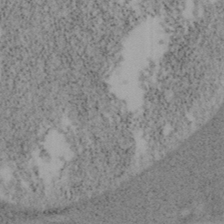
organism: Mouse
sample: OT-I killer T cells with ID8 ovarian cancer cells